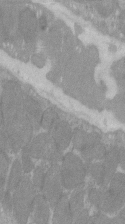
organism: C57BL Mouse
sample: Tibialis anterior muscle cell